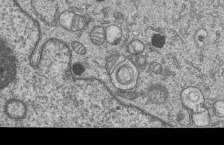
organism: Human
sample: MDA-MB-231 cells